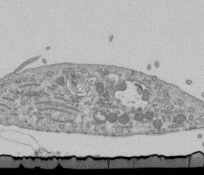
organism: Mouse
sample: ED-1 cell nuclei; centrioles